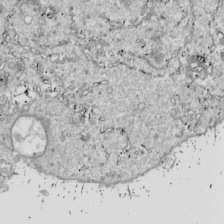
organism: Drosophila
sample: Cell division; meiosis; drosophila spermatocytes